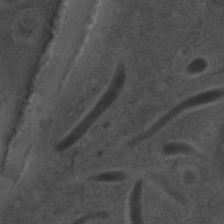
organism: C. elegans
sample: C. elegans embryo